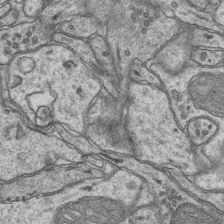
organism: Mouse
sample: CA1 Hippocampus